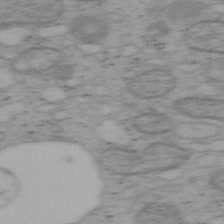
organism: Mouse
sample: OT-I killer T cells with ID8 ovarian cancer cells